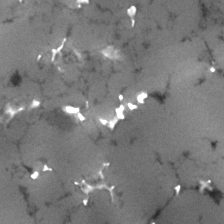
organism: Human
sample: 1205lu cells